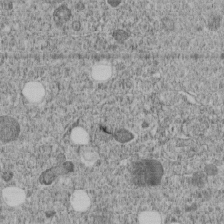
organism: C. elegans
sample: C. elegans embryo early stage